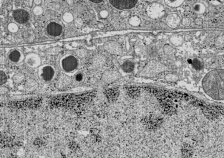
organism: C57BL Mouse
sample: Pancreatic islet